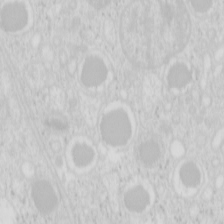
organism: Mouse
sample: Pancreas